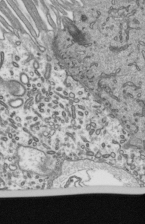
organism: Mouse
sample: Mouse epididymis efferent ductule cilia